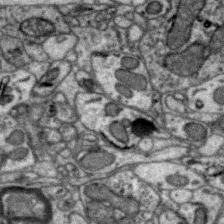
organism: Zebra finch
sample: Brain